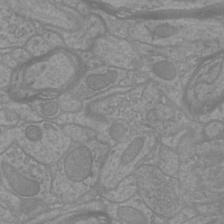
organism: Mouse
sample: Cortical neurons